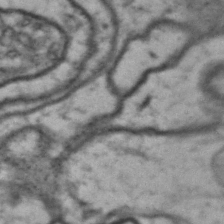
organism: Drosophila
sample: Brain